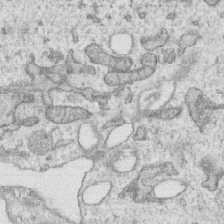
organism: Human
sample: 1205lu cells